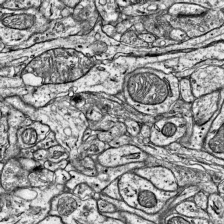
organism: Mouse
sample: Visual Cortex